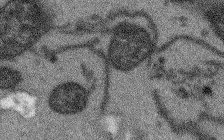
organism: Arabidopsis thaliana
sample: Root tip